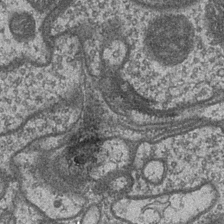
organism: Drosophila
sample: Optic medulla